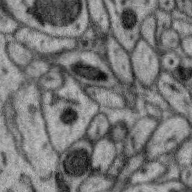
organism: Zebra finch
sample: Brain